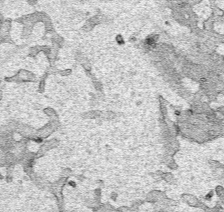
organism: Human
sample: Mitochondria in HCT116 cells